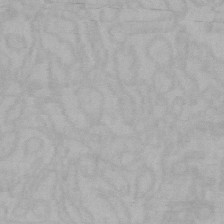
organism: Mouse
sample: Choroid plexus